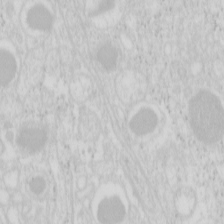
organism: Mouse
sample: Pancreas